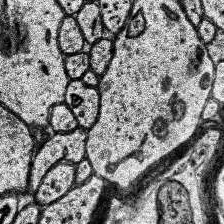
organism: Human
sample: Temporal Lobe